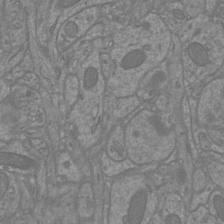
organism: Mouse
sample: Cortical neurons